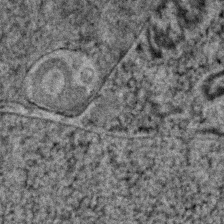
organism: Human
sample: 1205lu cells